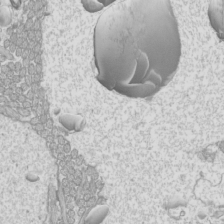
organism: Mouse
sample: Cilia; mouse epididymis